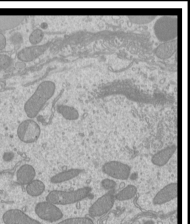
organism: Mouse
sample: Cilia; mouse epididymis